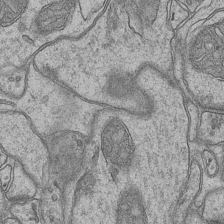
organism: Mouse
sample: CA1 Hippocampus